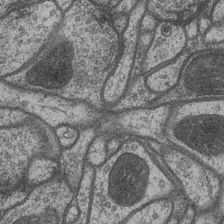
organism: Drosophila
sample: Optic medulla